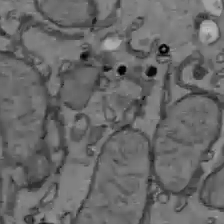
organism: C57BL Mouse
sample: Liver